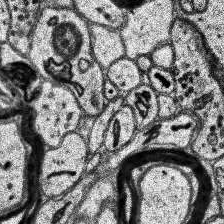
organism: Human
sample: Temporal Lobe